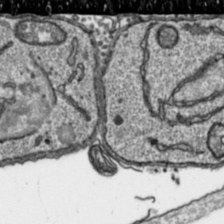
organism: Toxoplasma gondii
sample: Parasites in a vacuole inside a host cell